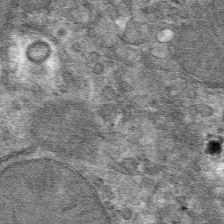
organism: Mouse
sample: Mouse hepatocytes